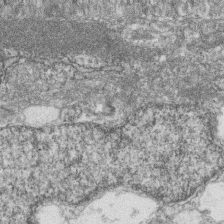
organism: Zebrafish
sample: Cilia; retinal pigment epithelium